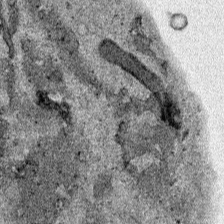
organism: Human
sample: Mitochondria in HCT116 cells